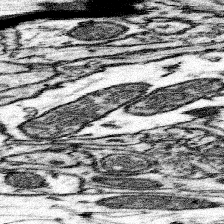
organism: Mouse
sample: Somatosensory cortex neuropil